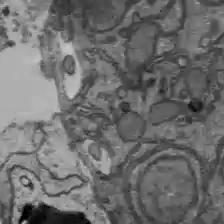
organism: C57BL Mouse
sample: Liver